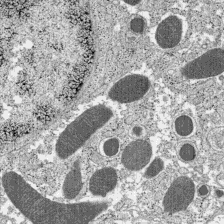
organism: C57BL Mouse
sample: Pancreatic islet